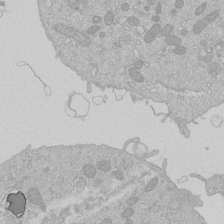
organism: Human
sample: Macrophage cells